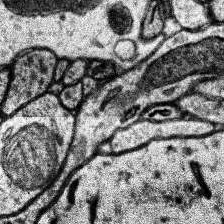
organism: Human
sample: Temporal Lobe